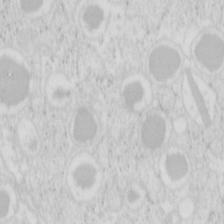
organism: Mouse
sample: Pancreas